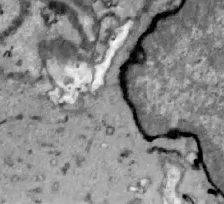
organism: Zebrafish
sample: Actinotrichia fibers